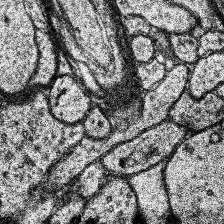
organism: Human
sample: Temporal Lobe